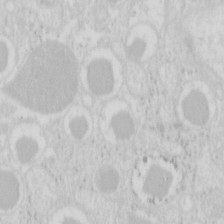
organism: Mouse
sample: Pancreas